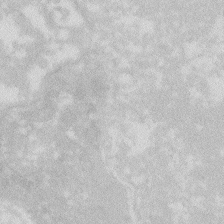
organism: Zebrafish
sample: Macrophage